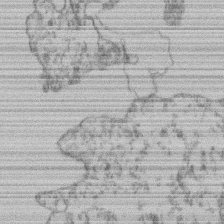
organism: Mouse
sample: T cell stromal cell synapse